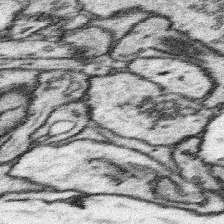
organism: Mouse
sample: Somatosensory cortex neuropil